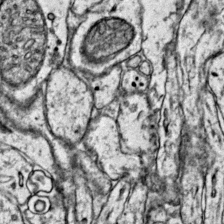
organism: Mouse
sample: Primary visual cortex